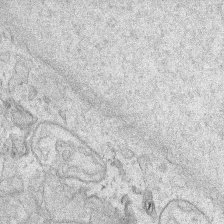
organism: Human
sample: Mitochondria in HCT116 cells